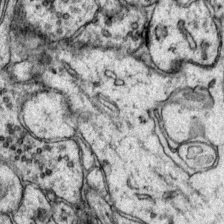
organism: Mouse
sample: Primary visual cortex